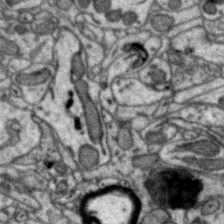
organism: Zebra finch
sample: Brain